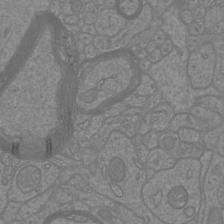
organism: Mouse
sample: Cortical neurons